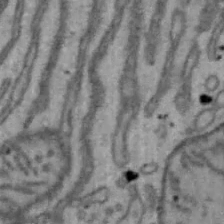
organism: Mouse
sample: Liver